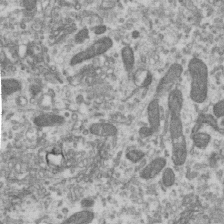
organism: Human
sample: Centriole in RPE cells